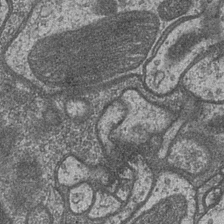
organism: Drosophila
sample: Optic medulla